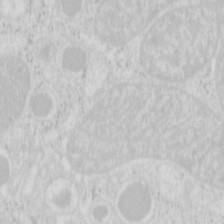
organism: Mouse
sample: Pancreas